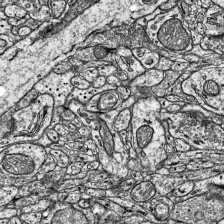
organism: Mouse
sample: Visual Cortex